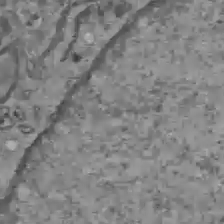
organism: C57BL Mouse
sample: Liver